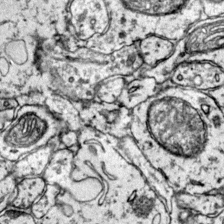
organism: Mouse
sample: Primary visual cortex